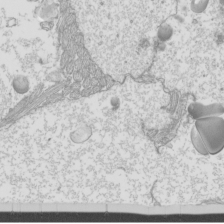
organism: Mouse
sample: Cilia; mouse epididymis